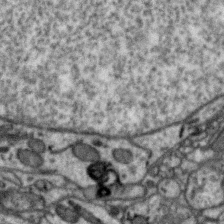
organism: Zebra finch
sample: Brain